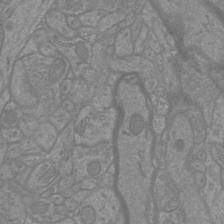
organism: Mouse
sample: Cortical neurons